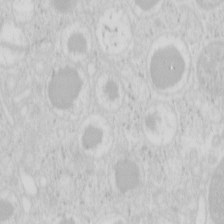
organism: Mouse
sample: Pancreas